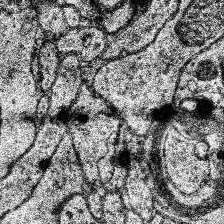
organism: Human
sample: Temporal Lobe